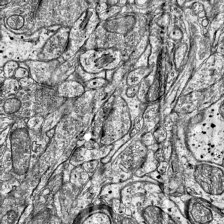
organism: Mouse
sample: Visual Cortex